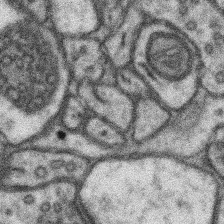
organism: Mouse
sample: Somatosensory cortex neuropil